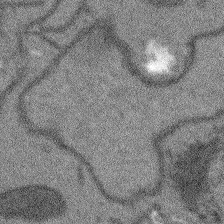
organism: Arabidopsis thaliana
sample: Root tip